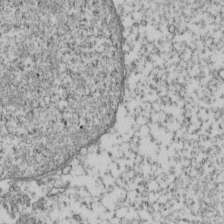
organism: Human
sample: Activated Jurkat CD4+ T cells